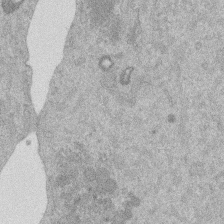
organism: Mouse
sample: Dividing mouse embryo 1 cell stage